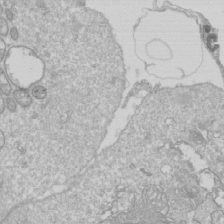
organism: Drosophila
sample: Cell division; meiosis; drosophila spermatocytes